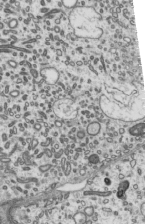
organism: Mouse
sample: Mouse epididymis efferent ductule cilia